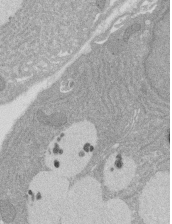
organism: Rat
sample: Salivary granule